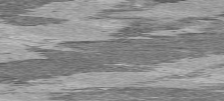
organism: C57BL Mouse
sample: Heart